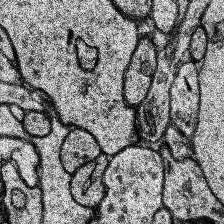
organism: Human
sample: Temporal Lobe